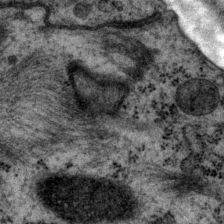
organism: P. pacificus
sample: Pharynx